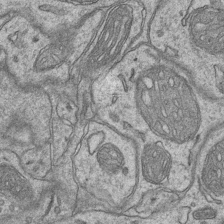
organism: Mouse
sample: CA1 Hippocampus